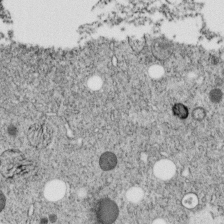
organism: C. elegans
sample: C. elegans embryo early stage